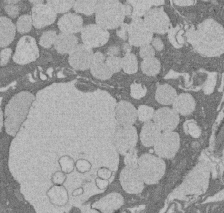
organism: Rat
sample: Salivary granule